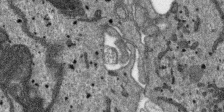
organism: Human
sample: Lung epithelial cells, uninfected (mock) control